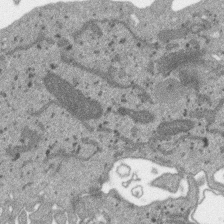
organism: Human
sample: Lung epithelial cells infected with SARS-CoV-2